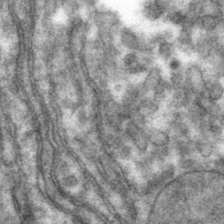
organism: Mouse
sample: Mouse hepatocytes